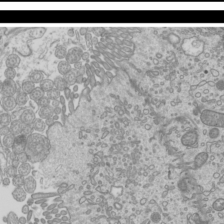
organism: Mouse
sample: Cilia; mouse epididymis